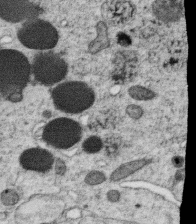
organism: C. elegans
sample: C. elegans oocyte; sperm cells